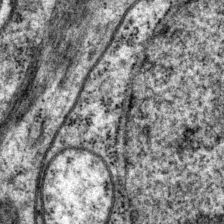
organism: P. pacificus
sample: Pharynx